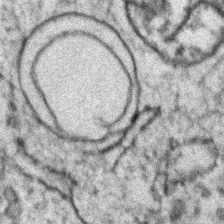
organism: Zebrafish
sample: Zebrafish embryo